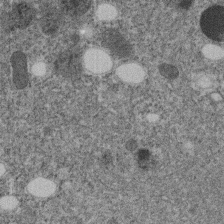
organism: C. elegans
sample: C. elegans embryo early stage